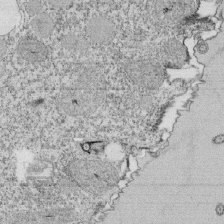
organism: Tetrahymena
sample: Cilia in tetrahymena